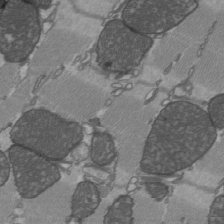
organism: C57BL Mouse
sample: Heart